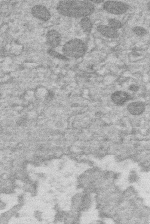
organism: Human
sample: Macrophage cells